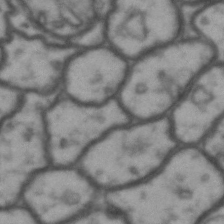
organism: Drosophila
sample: Brain